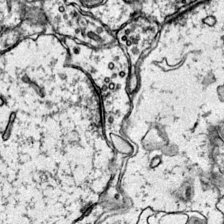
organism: Mouse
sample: Primary visual cortex